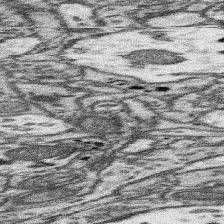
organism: Mouse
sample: Somatosensory cortex neuropil